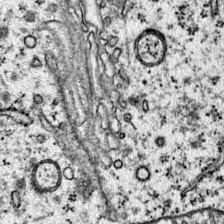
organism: Mouse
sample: Primary visual cortex